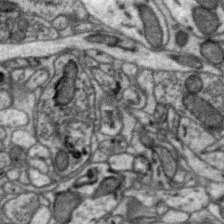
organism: Zebra finch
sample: Brain